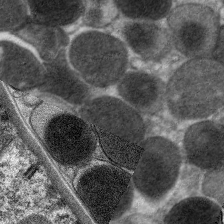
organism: C. elegans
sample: Pharynx